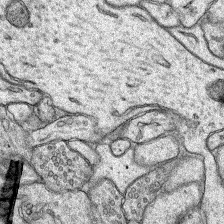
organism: Rat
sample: Hippocampus